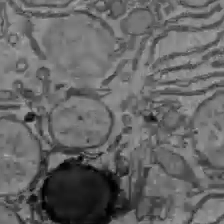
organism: C57BL Mouse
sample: Liver